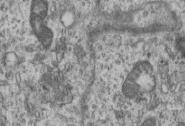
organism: Mouse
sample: Centriole in ependymal cells